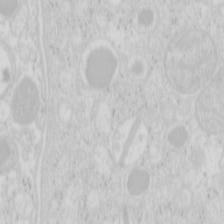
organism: Mouse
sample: Pancreas